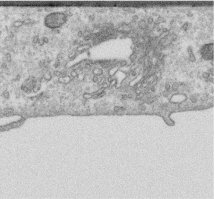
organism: Human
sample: Centriole in RPE cells